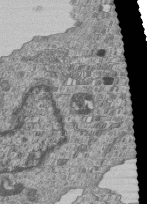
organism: Human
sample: MDA-MB-231 cells